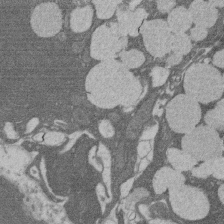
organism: Rat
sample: Salivary granule